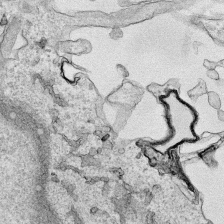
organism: Human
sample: Mitochondria in HCT116 cells